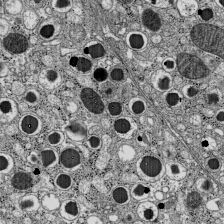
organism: C57BL Mouse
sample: Pancreatic islet